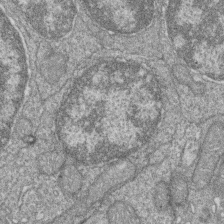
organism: Zebrafish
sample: Cilia; retinal pigment epithelium